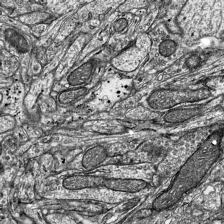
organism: Mouse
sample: Visual Cortex